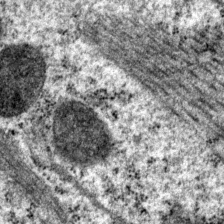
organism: P. pacificus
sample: Pharynx